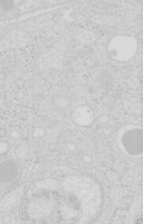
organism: Mouse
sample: Pancreas